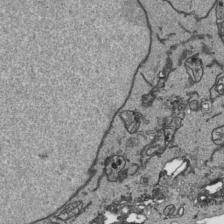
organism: Human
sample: Mitochondria in HCT116 cells